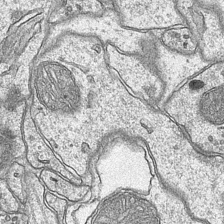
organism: Mouse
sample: CA1 Hippocampus